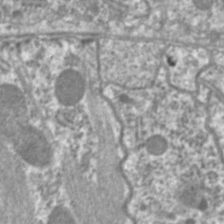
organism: C. elegans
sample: Pharynx